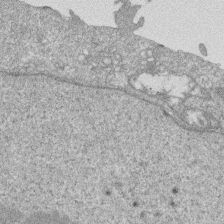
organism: Human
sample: HeLa cell HIV synapse